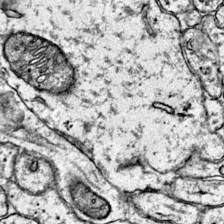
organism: Mouse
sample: Primary visual cortex